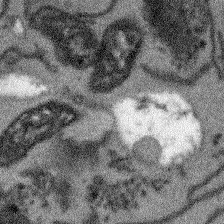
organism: Arabidopsis thaliana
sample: Root tip